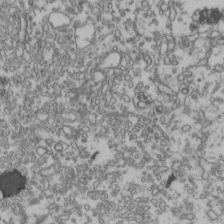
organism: Human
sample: Activated Jurkat CD4+ T cells